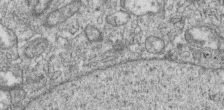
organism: Human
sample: HeLa cell HIV synapse